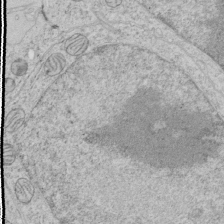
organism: Human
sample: Mitochondria in HCT116 cells